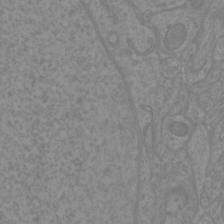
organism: Mouse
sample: Cortical neurons